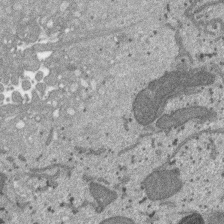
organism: Human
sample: Lung epithelial cells infected with SARS-CoV-2